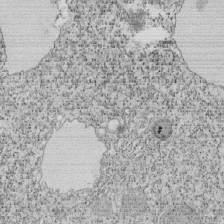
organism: Tetrahymena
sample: Cilia in tetrahymena